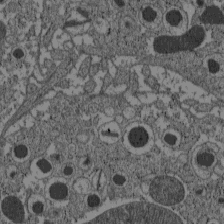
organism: C57BL Mouse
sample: Pancreatic islet